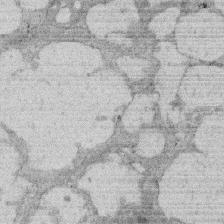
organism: Rat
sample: Salivary granule